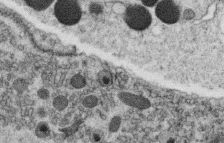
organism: C. elegans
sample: C. elegans oocyte; sperm cells